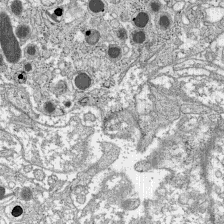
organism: C57BL Mouse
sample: Pancreatic islet